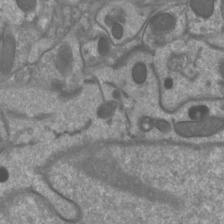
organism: Mouse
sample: Cortical neurons